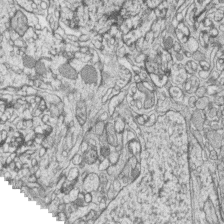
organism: Zebrafish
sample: synaptic ribbons in rod cells and cone cells